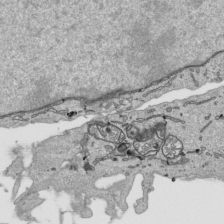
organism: Human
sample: Mitochondria in HCT116 cells